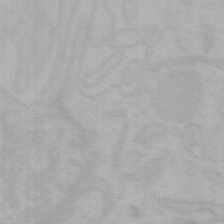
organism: Mouse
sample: Choroid plexus